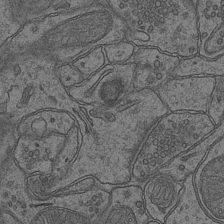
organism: Mouse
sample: CA1 Hippocampus